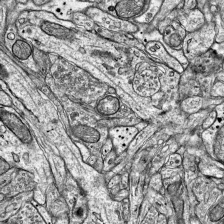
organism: Mouse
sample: Visual Cortex